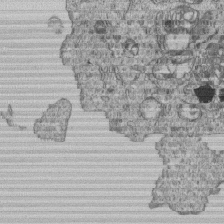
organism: Human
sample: MDA-MB-231 cells